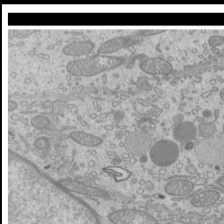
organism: Mouse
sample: Cilia; mouse epididymis